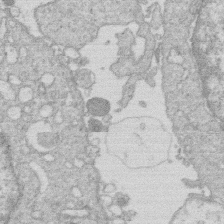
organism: Human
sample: Macrophage cells